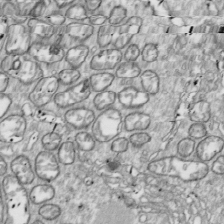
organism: Drosophila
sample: Cell division; meiosis; drosophila spermatocytes